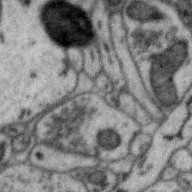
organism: Zebra finch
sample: Brain